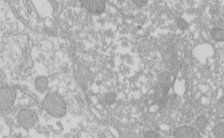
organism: Xenopus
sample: Cilia; centrioles in frog embryo cells